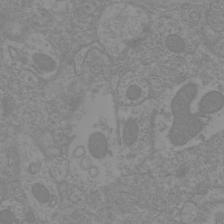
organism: Mouse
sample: Cortical neurons